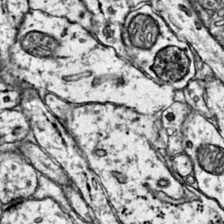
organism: Mouse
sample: Primary visual cortex